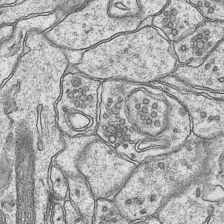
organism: Mouse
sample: CA1 Hippocampus